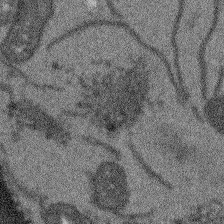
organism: Arabidopsis thaliana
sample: Root tip